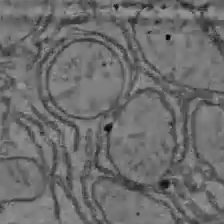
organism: C57BL Mouse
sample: Liver